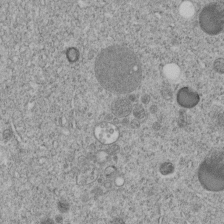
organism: C. elegans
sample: C. elegans embryo early stage